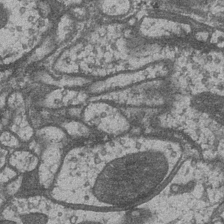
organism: Drosophila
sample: Optic medulla